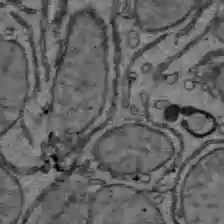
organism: C57BL Mouse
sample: Liver